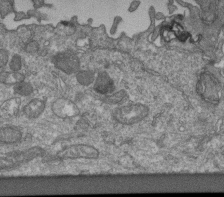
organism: Human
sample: Retinal organoid Rod and Cone cells